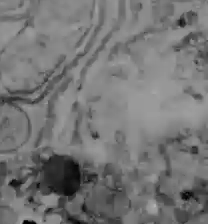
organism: C57BL Mouse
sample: Liver